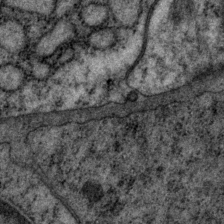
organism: P. pacificus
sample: Pharynx